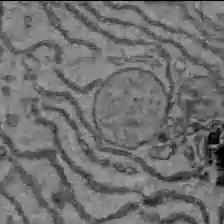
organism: C57BL Mouse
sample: Liver